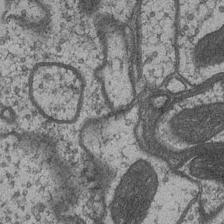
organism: Drosophila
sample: Optic medulla